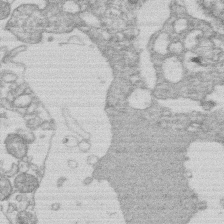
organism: Human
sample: Macrophage cells